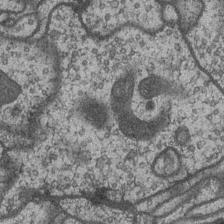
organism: Drosophila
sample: Optic medulla